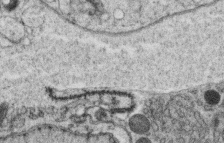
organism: C. elegans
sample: C. elegans oocyte; sperm cells